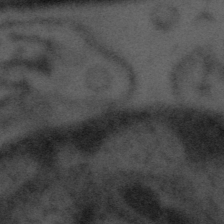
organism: Tuwongella immobilis